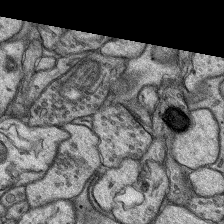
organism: Rat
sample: Hippocampus